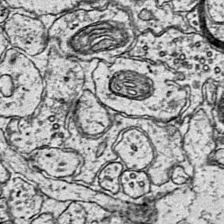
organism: Mouse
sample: Primary visual cortex